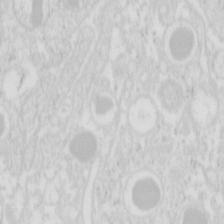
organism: Mouse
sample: Pancreas